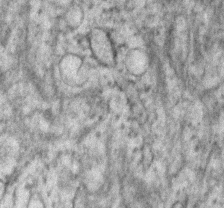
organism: Human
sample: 1205lu cells